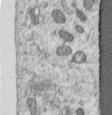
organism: Human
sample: Centriole in RPE cells